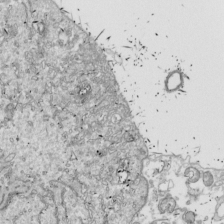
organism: Drosophila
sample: Cell division; meiosis; drosophila spermatocytes